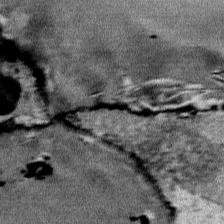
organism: Mouse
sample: Mouse Salivary gland